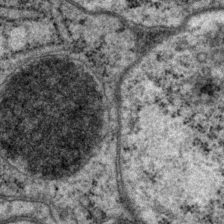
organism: P. pacificus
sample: Pharynx